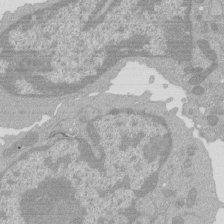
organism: Mouse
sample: Activated Pmel transgenic CD8+ T Cells